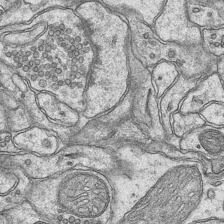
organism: Mouse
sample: CA1 Hippocampus